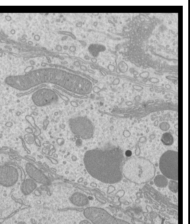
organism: Mouse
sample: Cilia; mouse epididymis